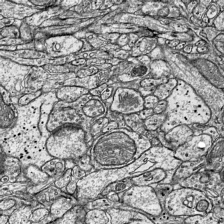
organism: Mouse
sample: Visual Cortex